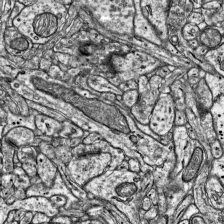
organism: Mouse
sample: Visual Cortex